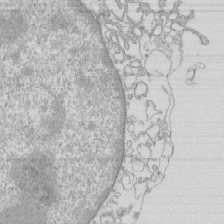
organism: Mouse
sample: Macrophages